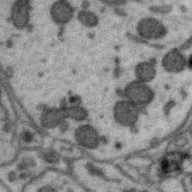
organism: Zebra finch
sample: Brain